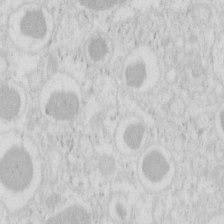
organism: Mouse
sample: Pancreas